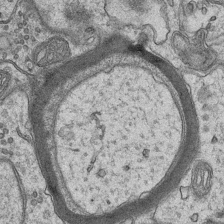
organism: Mouse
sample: CA1 Hippocampus